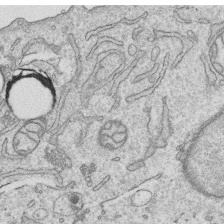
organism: Human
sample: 1205lu cells